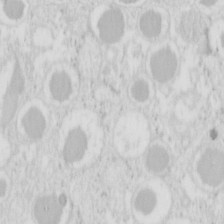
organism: Mouse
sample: Pancreas